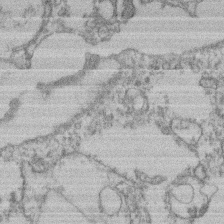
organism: Mouse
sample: T cell stromal cell synapse